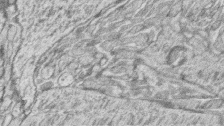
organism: Zebrafish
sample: synaptic ribbons in rod cells and cone cells